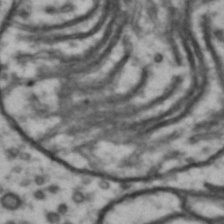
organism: Drosophila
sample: Brain